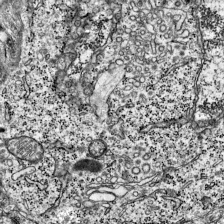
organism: Mouse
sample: Visual Cortex